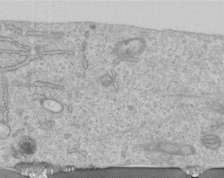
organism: Human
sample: Centriole in RPE cells